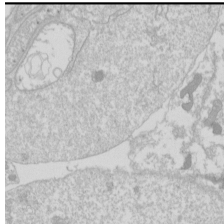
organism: Drosophila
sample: Cell division; meiosis; drosophila spermatocytes